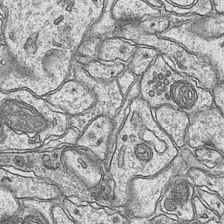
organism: Mouse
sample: CA1 Hippocampus